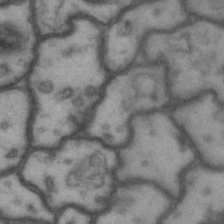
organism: Drosophila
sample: Brain